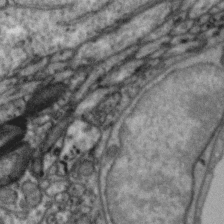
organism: Zebra finch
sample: Brain